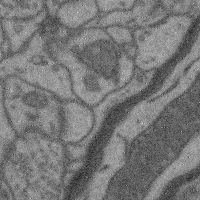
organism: Mouse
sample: Cerebral cortex